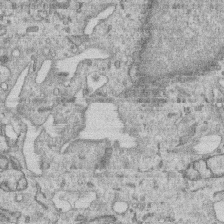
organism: Human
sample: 1205lu cells